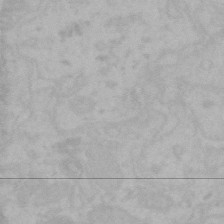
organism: Mouse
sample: Choroid plexus